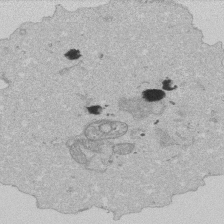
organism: Human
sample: Activated Jurkat CD4+ T cells